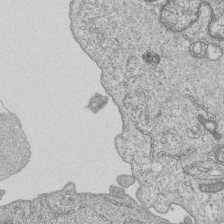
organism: Human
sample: MDA-MB-231 cells